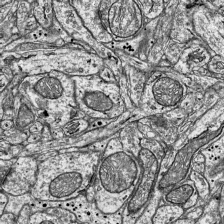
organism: Mouse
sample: Visual Cortex